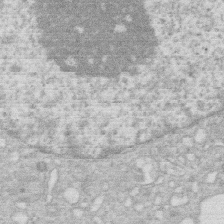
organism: Human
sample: Macrophage cells